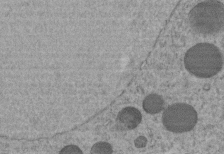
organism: C. elegans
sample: C. elegans embryo early stage